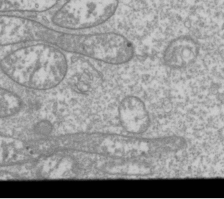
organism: Drosophila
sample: Cell division; meiosis; drosophila spermatocytes